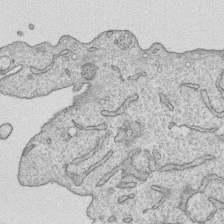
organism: Human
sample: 1205lu cells